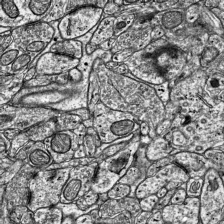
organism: Mouse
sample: Visual Cortex